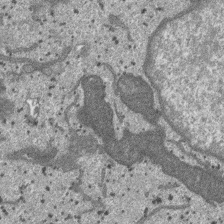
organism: Human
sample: Lung epithelial cells infected with SARS-CoV-2